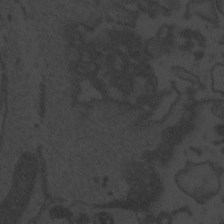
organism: Zebrafish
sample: Macrophage infected with Toxoplasma gondii